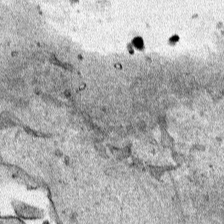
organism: Human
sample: Mitochondria in HCT116 cells